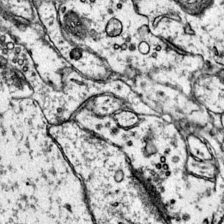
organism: Mouse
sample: Primary visual cortex